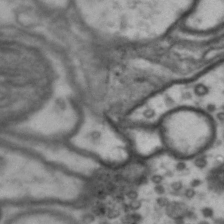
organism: Drosophila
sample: Brain